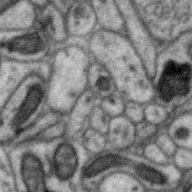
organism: Zebra finch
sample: Brain